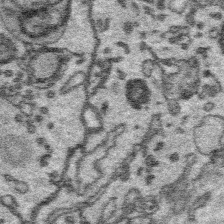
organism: Platynereis dumerilii